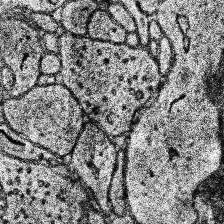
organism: Human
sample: Temporal Lobe